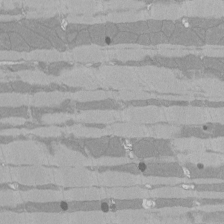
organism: Rat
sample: Left ventricle